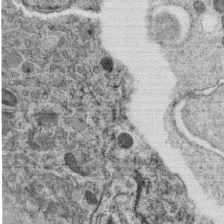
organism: C. elegans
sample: C. elegans oocyte; sperm cells